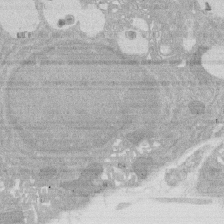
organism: Rat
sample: Salivary granule